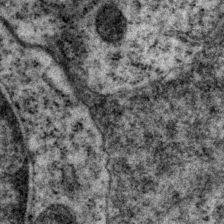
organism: P. pacificus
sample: Pharynx